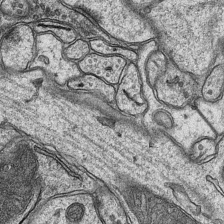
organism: Mouse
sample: CA1 Hippocampus